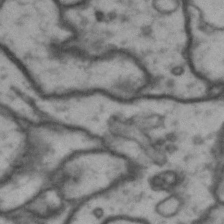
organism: Drosophila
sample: Brain